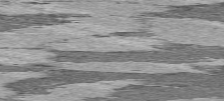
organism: C57BL Mouse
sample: Heart